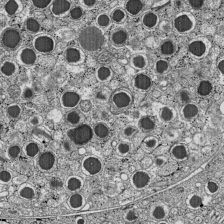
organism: C57BL Mouse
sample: Pancreatic islet